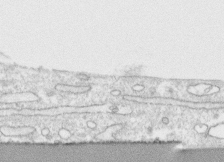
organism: Human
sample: CRL-1474